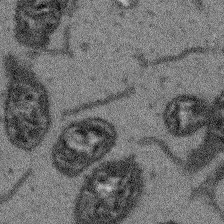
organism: Arabidopsis thaliana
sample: Root tip